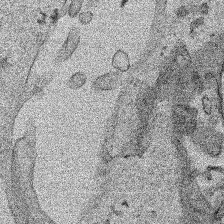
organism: Human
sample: Mitochondria in HCT116 cells